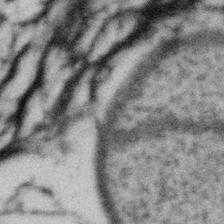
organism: Gemmata obscuriglobus